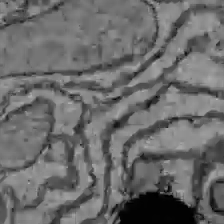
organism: C57BL Mouse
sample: Liver